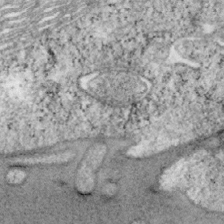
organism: Mouse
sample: OT-I killer T cells with ID8 ovarian cancer cells